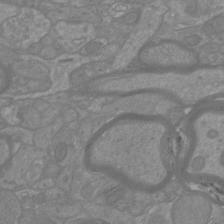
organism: Mouse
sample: Cortical neurons